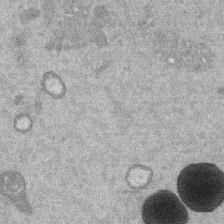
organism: Mouse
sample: Dividing mouse embryo 1 cell stage